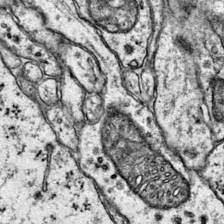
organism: Mouse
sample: Primary visual cortex